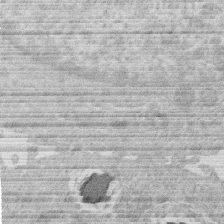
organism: Human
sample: Macrophage cells